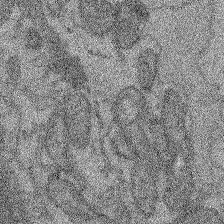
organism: Human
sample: HeLa cells